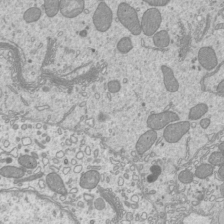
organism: Mouse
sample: Cilia; mouse epididymis